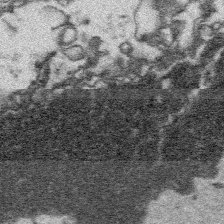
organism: Platynereis dumerilii